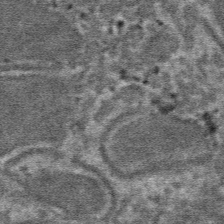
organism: Mouse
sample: Mouse hepatocytes